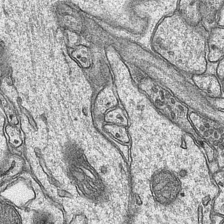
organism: Mouse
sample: CA1 Hippocampus